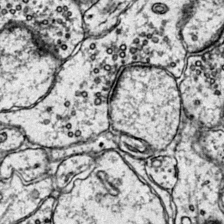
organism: Mouse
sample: Primary visual cortex